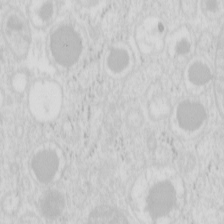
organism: Mouse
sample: Pancreas